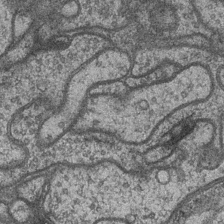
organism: Drosophila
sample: Optic medulla